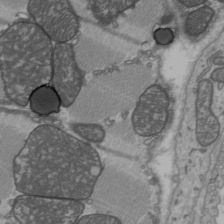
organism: C57BL Mouse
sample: Heart